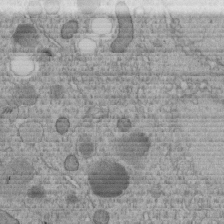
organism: C. elegans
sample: C. elegans embryo early stage